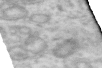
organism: Human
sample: Centriole in RPE cells